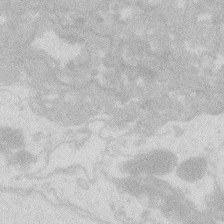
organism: Zebrafish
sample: Macrophage